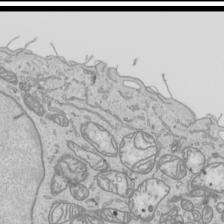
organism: Human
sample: Mitochondria in HCT116 cells